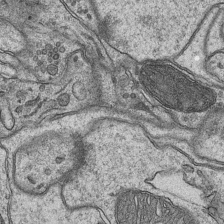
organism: Mouse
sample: CA1 Hippocampus